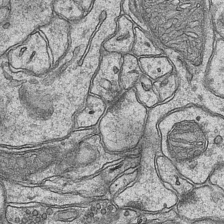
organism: Mouse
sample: CA1 Hippocampus